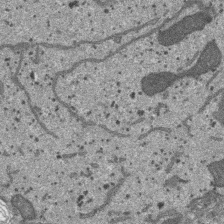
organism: Human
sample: Lung epithelial cells infected with SARS-CoV-2